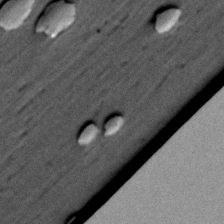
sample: Trachea